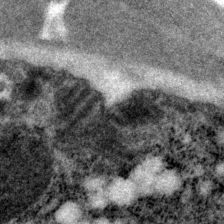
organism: P. pacificus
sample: Pharynx